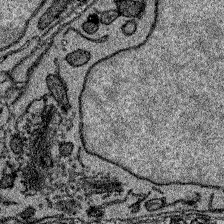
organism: Zebrafish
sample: Larval olfactory bulb